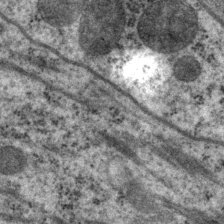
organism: P. pacificus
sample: Pharynx